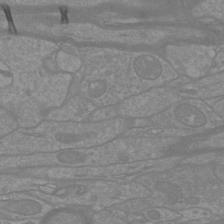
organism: Mouse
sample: Cortical neurons